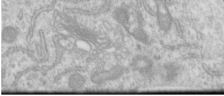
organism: Human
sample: Centriole in RPE cells